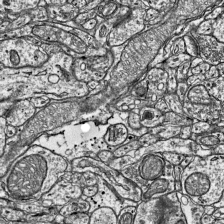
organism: Mouse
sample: Visual Cortex